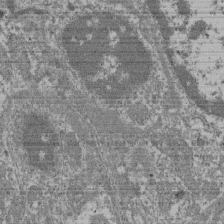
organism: Mouse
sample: Glomerulus